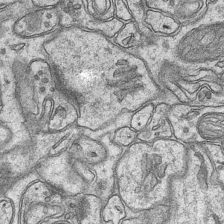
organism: Mouse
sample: CA1 Hippocampus